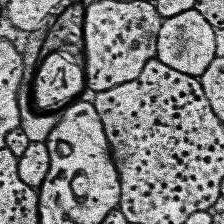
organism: Human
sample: Temporal Lobe